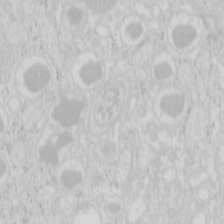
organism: Mouse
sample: Pancreas